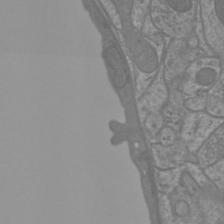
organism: Mouse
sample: Cortical neurons